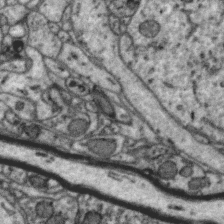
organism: Zebra finch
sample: Brain